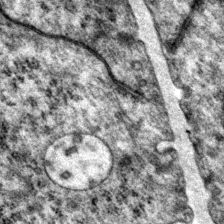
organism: P. pacificus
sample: Pharynx